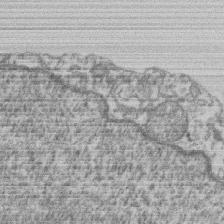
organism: Mouse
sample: T cell stromal cell synapse